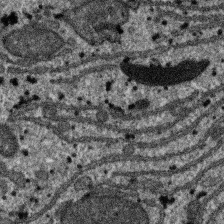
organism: Human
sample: Lung epithelial cells infected with SARS-CoV-2